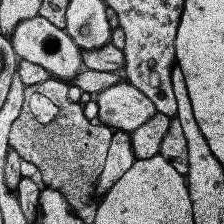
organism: Human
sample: Temporal Lobe